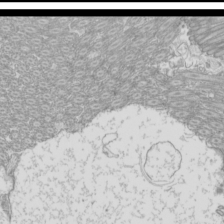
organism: Mouse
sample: Cilia; mouse epididymis